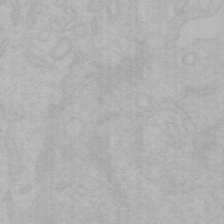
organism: Mouse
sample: Choroid plexus